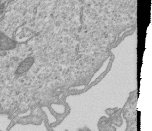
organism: Human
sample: MDA-MB-231 cells